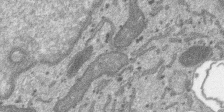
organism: Human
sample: Lung epithelial cells infected with SARS-CoV-2